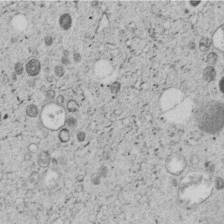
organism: C. elegans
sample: C. elegans embryo early stage